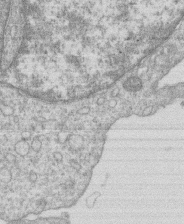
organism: Human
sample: Macrophage cells